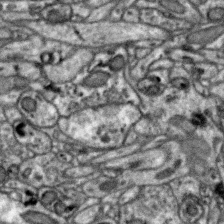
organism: Zebra finch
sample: Brain